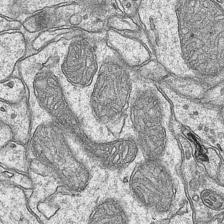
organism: Mouse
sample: CA1 Hippocampus